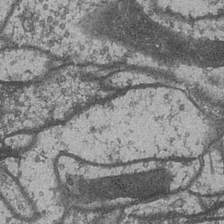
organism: Drosophila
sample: Optic medulla